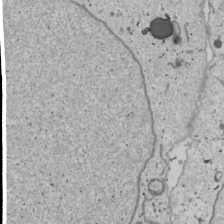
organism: Human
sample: Mitochondria in U2OS cells